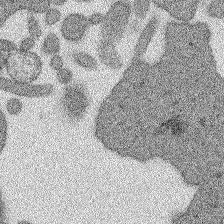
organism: Human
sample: HeLa cells